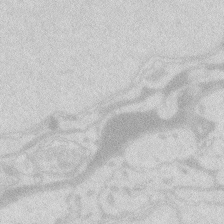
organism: Zebrafish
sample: Macrophage